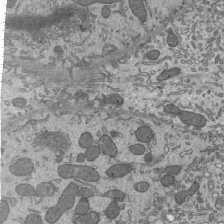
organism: Mouse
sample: Mouse epididymis efferent ductule cilia